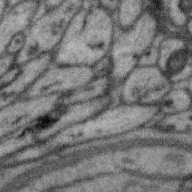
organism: Zebra finch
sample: Brain